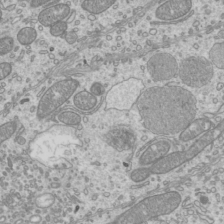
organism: Mouse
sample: Cilia; mouse epididymis